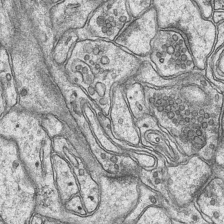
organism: Mouse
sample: CA1 Hippocampus